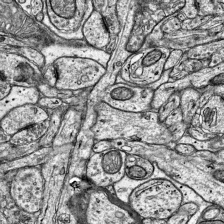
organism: Mouse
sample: Visual Cortex